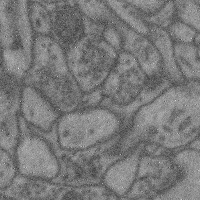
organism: Mouse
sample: Cerebral cortex